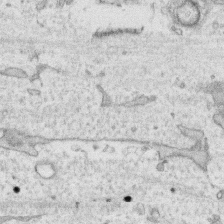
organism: Human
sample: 1205lu cells